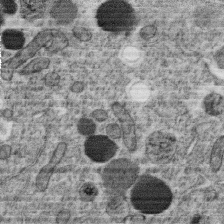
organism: C. elegans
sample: C. elegans oocyte; sperm cells